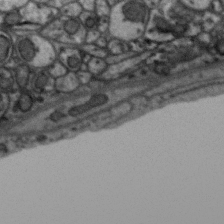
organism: Zebra finch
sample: Brain